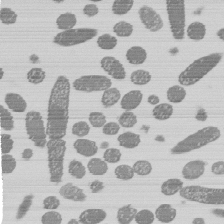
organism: E. coli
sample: Bacterial nucleoid